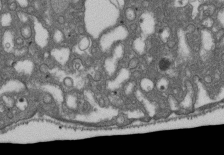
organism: Drosophila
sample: Nephrocyte